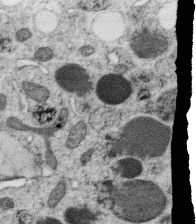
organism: C. elegans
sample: C. elegans oocyte; sperm cells